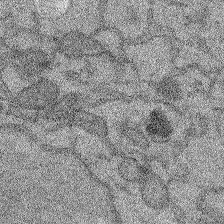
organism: Human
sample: HeLa cells